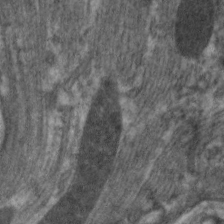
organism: C. elegans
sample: Pharynx